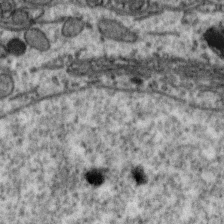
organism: Zebra finch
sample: Brain